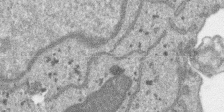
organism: Human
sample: Lung epithelial cells infected with SARS-CoV-2